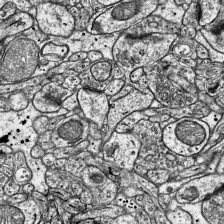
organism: Mouse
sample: Visual Cortex